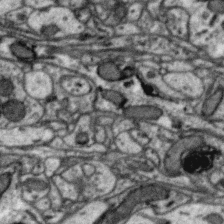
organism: Zebra finch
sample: Brain